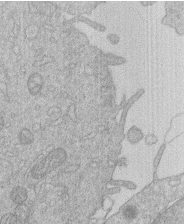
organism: Human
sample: Macrophage cells